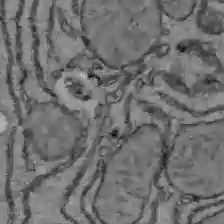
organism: C57BL Mouse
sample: Liver